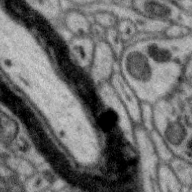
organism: Zebra finch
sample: Brain